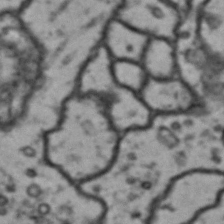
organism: Drosophila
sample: Brain